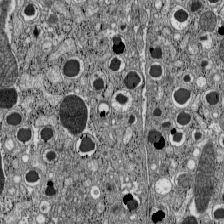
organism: C57BL Mouse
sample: Pancreatic islet